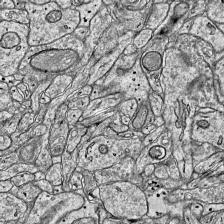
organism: Mouse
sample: Visual Cortex